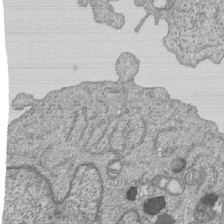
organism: Human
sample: MDA-MB-231 cells